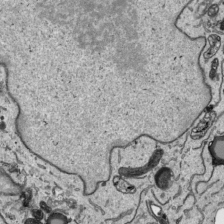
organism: Human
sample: Mitochondria in HCT116 cells